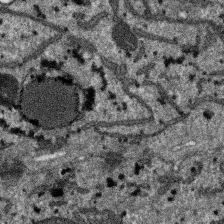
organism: Human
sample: Lung epithelial cells infected with SARS-CoV-2